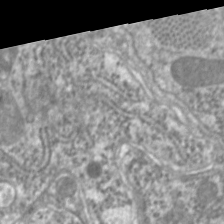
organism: C. elegans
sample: Pharynx